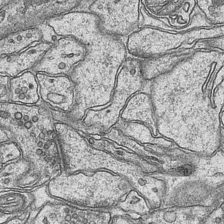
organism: Mouse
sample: CA1 Hippocampus